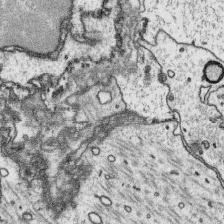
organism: Platynereis dumerilii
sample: Parapodia